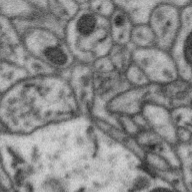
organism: Zebra finch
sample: Brain